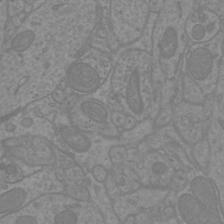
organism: Mouse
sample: Cortical neurons